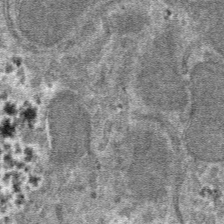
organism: Mouse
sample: Mouse hepatocytes